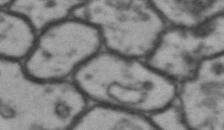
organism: Drosophila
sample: Brain